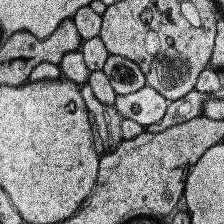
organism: Human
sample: Temporal Lobe